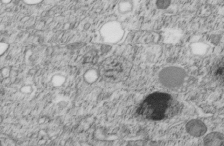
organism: C. elegans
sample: C. elegans embryo early stage